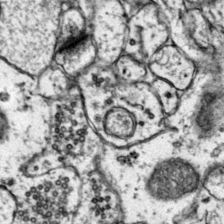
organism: Mouse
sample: Primary visual cortex